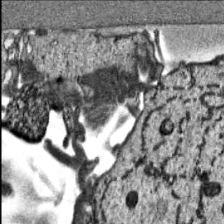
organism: Human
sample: HeLa cells